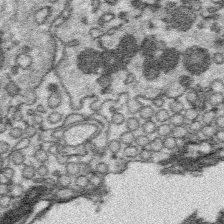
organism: Platynereis dumerilii